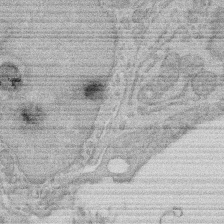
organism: Rat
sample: Salivary granule